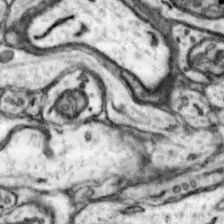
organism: Mouse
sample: Nucleus accumbens